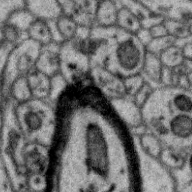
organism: Zebra finch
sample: Brain